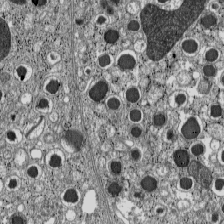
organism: C57BL Mouse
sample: Pancreatic islet